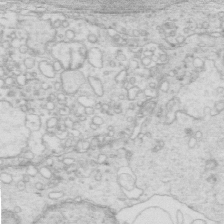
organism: Mouse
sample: Multiciliated cells